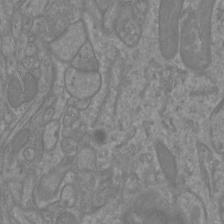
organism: Mouse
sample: Cortical neurons